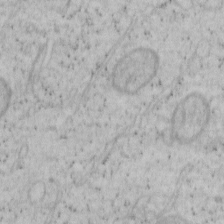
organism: Human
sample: HeLa cells